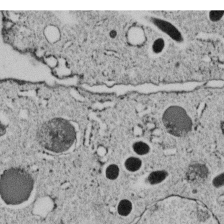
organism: C. elegans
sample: C. elegans embryo early stage